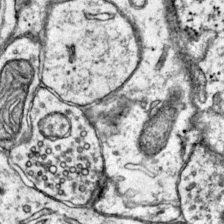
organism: Mouse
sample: Primary visual cortex